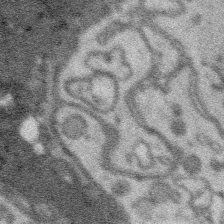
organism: Platynereis dumerilii